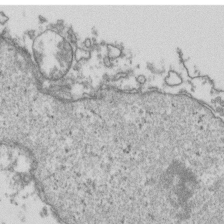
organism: Human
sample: Activated Jurkat CD4+ T cells